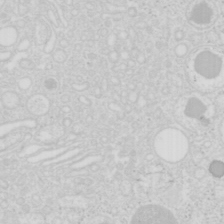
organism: Mouse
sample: Pancreas